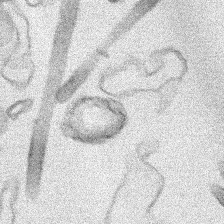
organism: Human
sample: Mitochondria in HCT116 cells